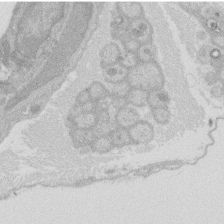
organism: Rat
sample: Salivary granule